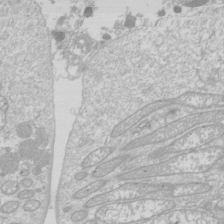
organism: Drosophila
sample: Cell division; meiosis; drosophila spermatocytes